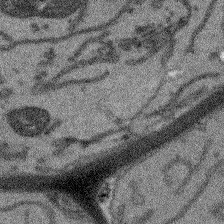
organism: Arabidopsis thaliana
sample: Root tip